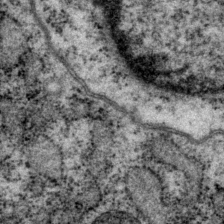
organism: P. pacificus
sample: Pharynx